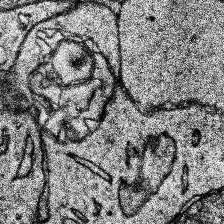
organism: Human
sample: Temporal Lobe